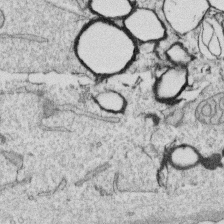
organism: Human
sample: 1205lu cells